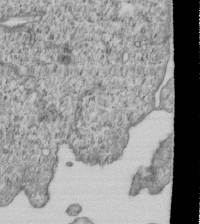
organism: Human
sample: MDA-MB-231 cells